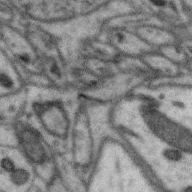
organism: Zebra finch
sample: Brain